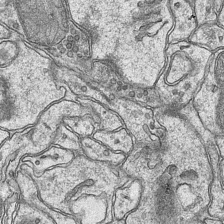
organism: Mouse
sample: CA1 Hippocampus